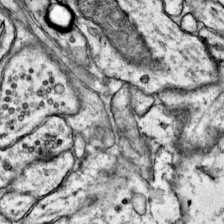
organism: Mouse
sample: Primary visual cortex